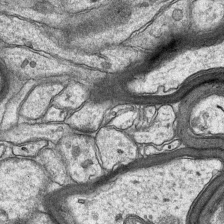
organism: Mouse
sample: CA1 Hippocampus